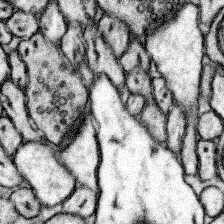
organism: Mouse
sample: Somatosensory cortex neuropil